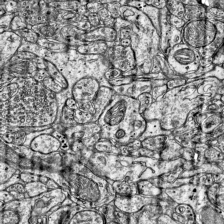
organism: Mouse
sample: Visual Cortex